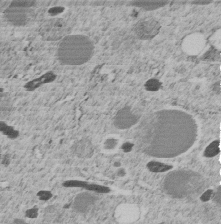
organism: C. elegans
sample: C. elegans embryo early stage